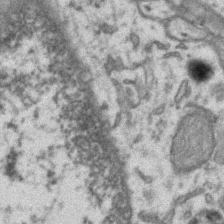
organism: Mouse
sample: CA1 Hippocampus